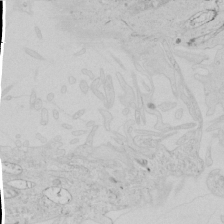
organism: Human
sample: Mitochondria in HCT116 cells